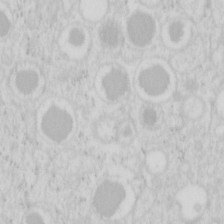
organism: Mouse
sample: Pancreas